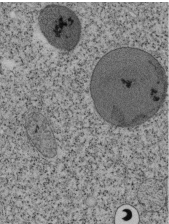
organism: Tetrahymena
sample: Cilia in tetrahymena